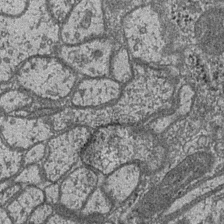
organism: Drosophila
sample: Optic medulla